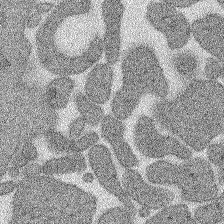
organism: Human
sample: HeLa cells